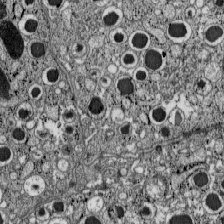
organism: C57BL Mouse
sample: Pancreatic islet